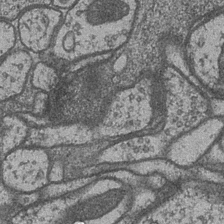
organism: Drosophila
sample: Optic medulla